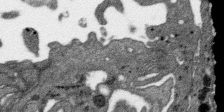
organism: Human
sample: Lung epithelial cells, uninfected (mock) control